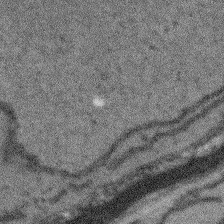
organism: Arabidopsis thaliana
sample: Root tip